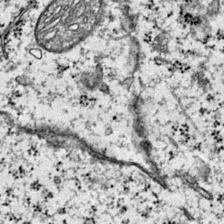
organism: Mouse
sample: Primary visual cortex